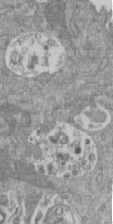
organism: Mouse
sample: ED-1 cell nuclei; centrioles